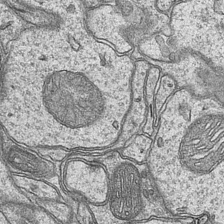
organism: Mouse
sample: CA1 Hippocampus